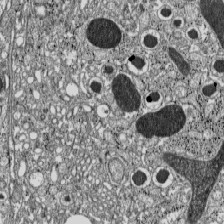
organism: C57BL Mouse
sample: Pancreatic islet